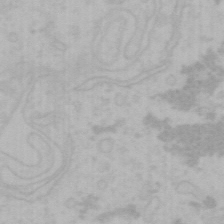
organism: Mouse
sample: Choroid plexus